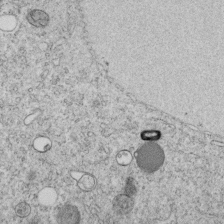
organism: C. elegans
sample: C. elegans embryo early stage